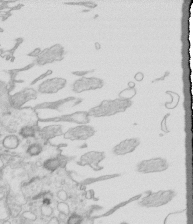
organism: Mouse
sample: Multiciliated cells